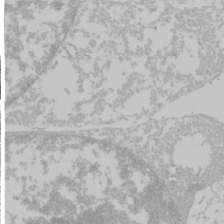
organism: Mouse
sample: Cancer cell death in ED-1 cells